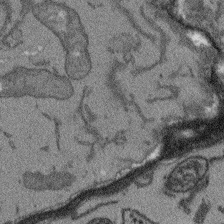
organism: Arabidopsis thaliana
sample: Root tip